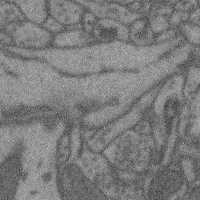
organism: Mouse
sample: Cerebral cortex